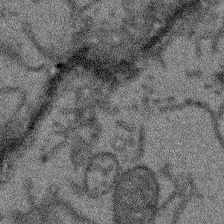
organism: Arabidopsis thaliana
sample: Root tip